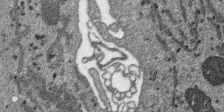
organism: Human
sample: Lung epithelial cells infected with SARS-CoV-2